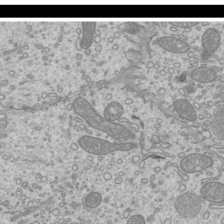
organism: Mouse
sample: Cilia; mouse epididymis